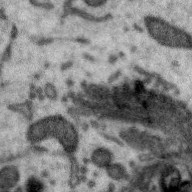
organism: Zebra finch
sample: Brain